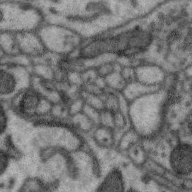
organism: Zebra finch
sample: Brain